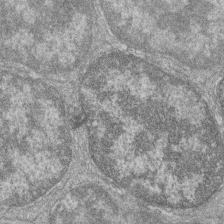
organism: Zebrafish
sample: Cilia; retinal pigment epithelium